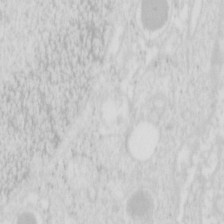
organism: Mouse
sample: Pancreas